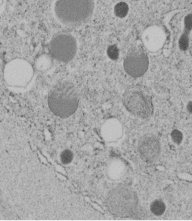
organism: C. elegans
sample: C. elegans embryo early stage